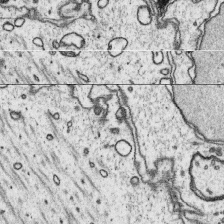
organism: Platynereis dumerilii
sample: Parapodia